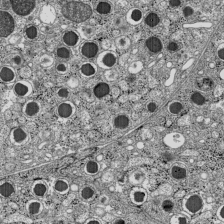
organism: C57BL Mouse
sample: Pancreatic islet